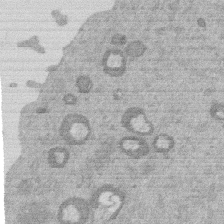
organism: Mouse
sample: Dividing mouse embryo 1 cell stage